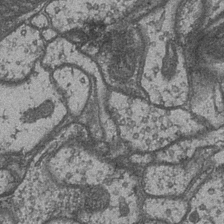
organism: Drosophila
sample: Optic medulla